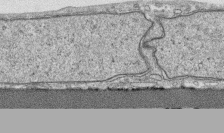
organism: Human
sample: CRL-1474